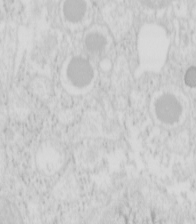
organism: Mouse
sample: Pancreas